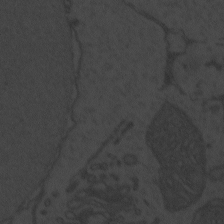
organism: Zebrafish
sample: Macrophage infected with Toxoplasma gondii